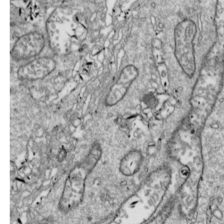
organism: Drosophila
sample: Cell division; meiosis; drosophila spermatocytes